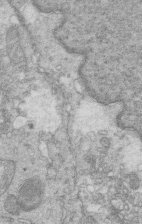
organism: Mouse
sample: Multiciliated cells